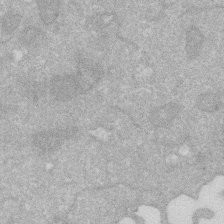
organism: Human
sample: HIV infected U937 cells